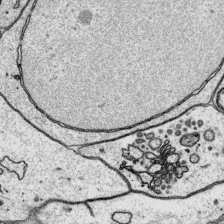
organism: Platynereis dumerilii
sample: Parapodia